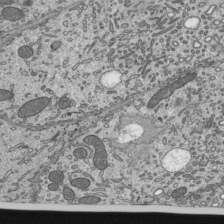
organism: Mouse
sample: Mouse epididymis efferent ductule cilia